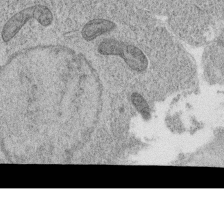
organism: C. elegans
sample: C. elegans oocyte; sperm cells